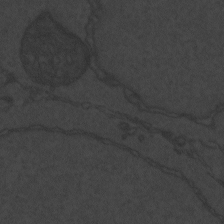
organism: Zebrafish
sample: Macrophage infected with Toxoplasma gondii